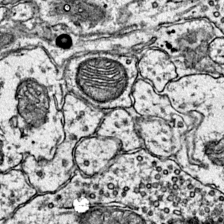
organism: Mouse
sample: Primary visual cortex